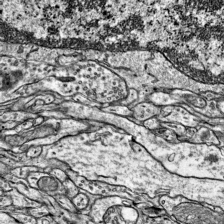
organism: Mouse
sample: Visual Cortex